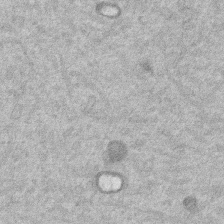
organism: Mouse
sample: Dividing mouse embryo 1 cell stage